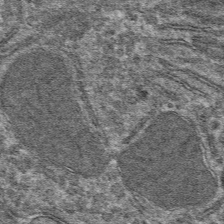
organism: Mouse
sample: Mouse hepatocytes